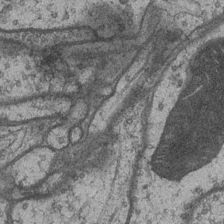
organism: Drosophila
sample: Optic medulla